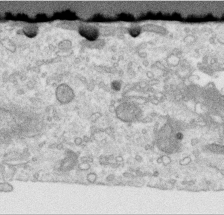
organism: Human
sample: Centriole in RPE cells